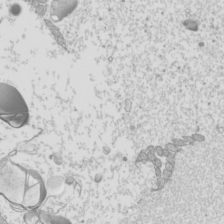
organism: Mouse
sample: Cilia; mouse epididymis